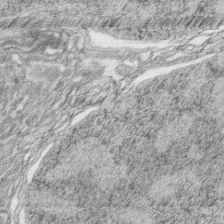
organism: Zebrafish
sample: synaptic ribbons in rod cells and cone cells